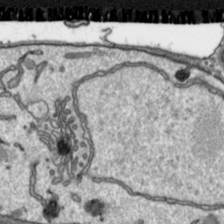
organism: Toxoplasma gondii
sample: Parasites in a vacuole inside a host cell